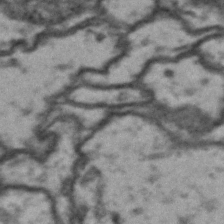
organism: Drosophila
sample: Brain